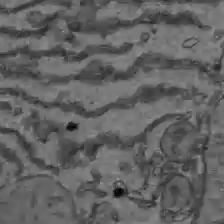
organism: C57BL Mouse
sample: Liver